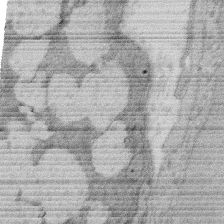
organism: Rat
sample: Salivary granule